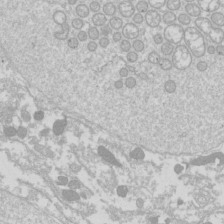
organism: Drosophila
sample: Cell division; meiosis; drosophila spermatocytes